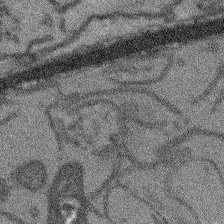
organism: Arabidopsis thaliana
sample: Root tip